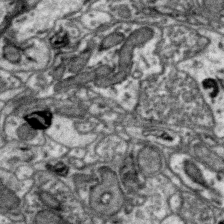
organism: Zebra finch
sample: Brain